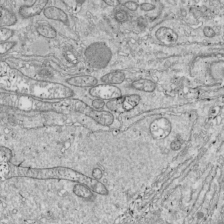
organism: Drosophila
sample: Cell division; meiosis; drosophila spermatocytes